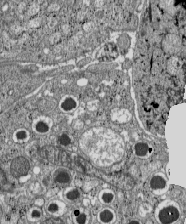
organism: C57BL Mouse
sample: Pancreatic islet